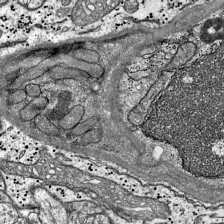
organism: Mouse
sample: Visual Cortex